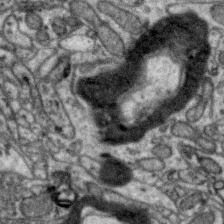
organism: Zebra finch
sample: Brain